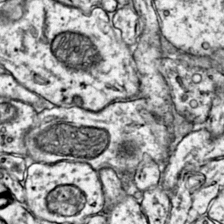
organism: Mouse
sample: Primary visual cortex